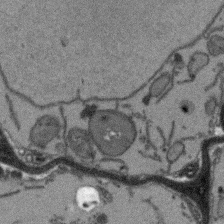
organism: Arabidopsis thaliana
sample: Root tip